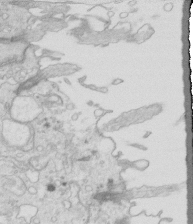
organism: Mouse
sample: Multiciliated cells